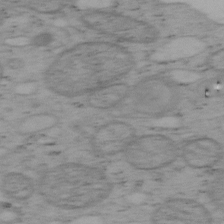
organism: Mouse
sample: OT-I killer T cells with ID8 ovarian cancer cells